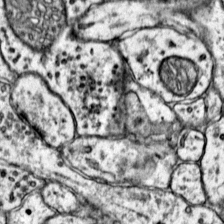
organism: Mouse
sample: Primary visual cortex